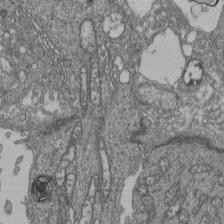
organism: Human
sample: Retinal organoid Rod and Cone cells